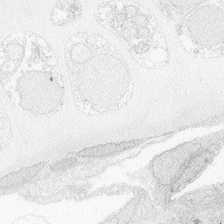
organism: Zebrafish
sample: Whole-Brain